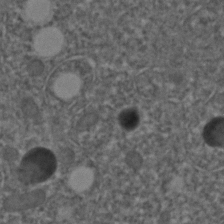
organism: C. elegans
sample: C. elegans embryo